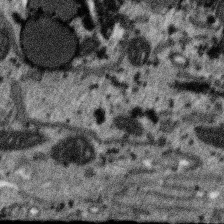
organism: Human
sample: Lung epithelial cells infected with SARS-CoV-2